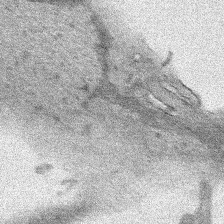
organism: Human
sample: Mitochondria in HCT116 cells